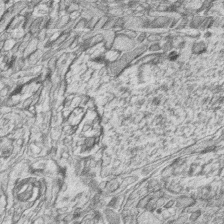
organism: Zebrafish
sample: synaptic ribbons in rod cells and cone cells